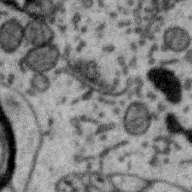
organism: Zebra finch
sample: Brain